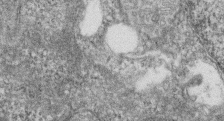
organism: Zebrafish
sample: Cilia; retinal pigment epithelium